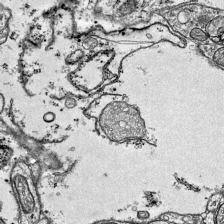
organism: Mouse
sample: Visual Cortex